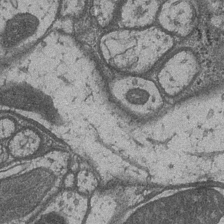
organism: Drosophila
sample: Optic medulla